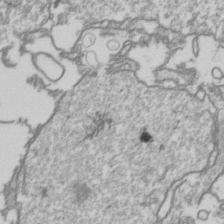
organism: Drosophila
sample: Cell division; meiosis; drosophila spermatocytes